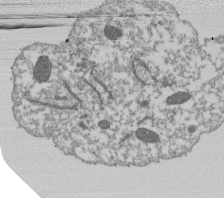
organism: Dictyostelium discoideum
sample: Dictyostelium multivesicular bodies